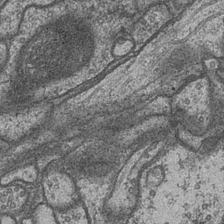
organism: Drosophila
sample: Optic medulla